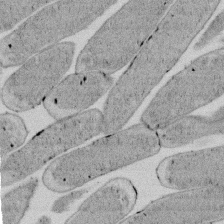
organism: E. coli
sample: Bacterial nucleoid